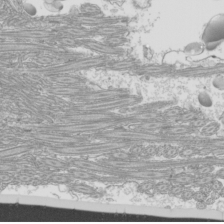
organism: Mouse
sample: Cilia; mouse epididymis